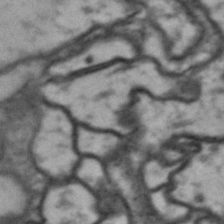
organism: Drosophila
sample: Brain